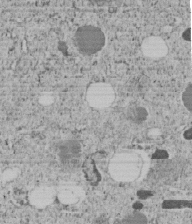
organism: C. elegans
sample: C. elegans embryo early stage